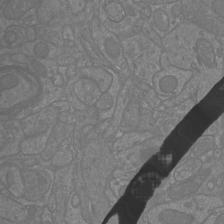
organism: Mouse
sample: Cortical neurons